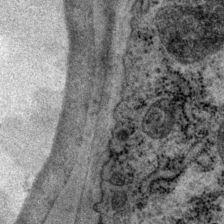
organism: P. pacificus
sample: Pharynx